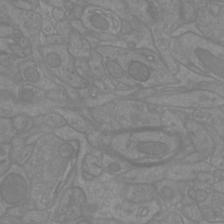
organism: Mouse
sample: Cortical neurons